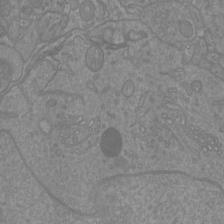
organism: Mouse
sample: Cortical neurons